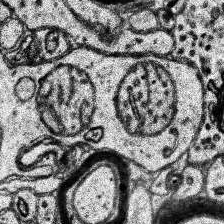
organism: Human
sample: Temporal Lobe